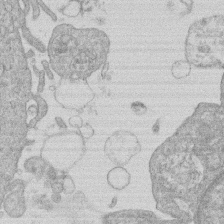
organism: Human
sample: Macrophage cells